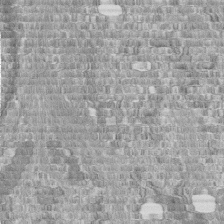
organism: Human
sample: Centriole in fibroblast cells